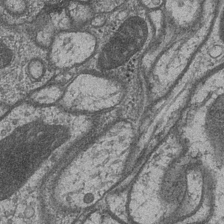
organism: Drosophila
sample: Optic medulla